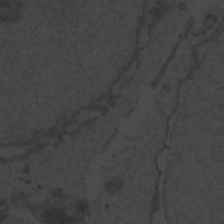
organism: Zebrafish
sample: Macrophage infected with Toxoplasma gondii